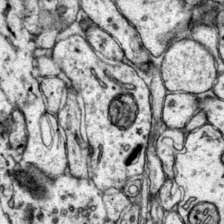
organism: Mouse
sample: Primary visual cortex